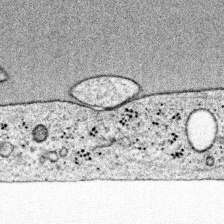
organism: Human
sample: HeLa cells